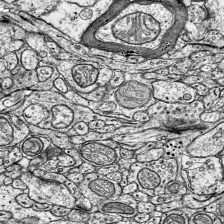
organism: Mouse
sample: Visual Cortex